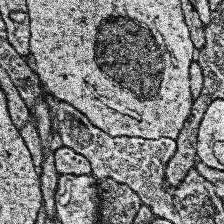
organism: Human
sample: Temporal Lobe